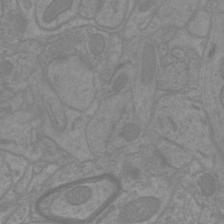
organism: Mouse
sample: Cortical neurons